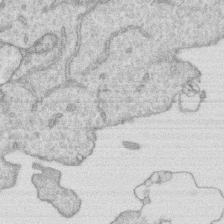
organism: Human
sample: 1205lu cells